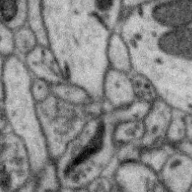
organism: Zebra finch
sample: Brain